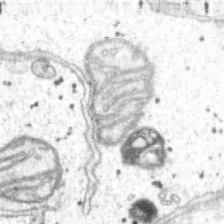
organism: Human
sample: HeLa cells